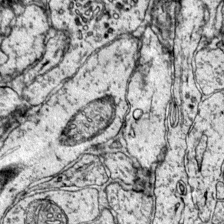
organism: Mouse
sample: Primary visual cortex